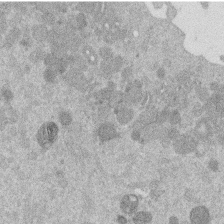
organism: Mouse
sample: Dividing mouse embryo 1 cell stage